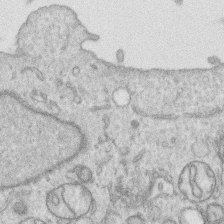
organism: Human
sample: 1205lu cells